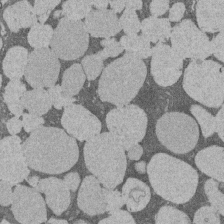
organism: Rat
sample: Salivary granule